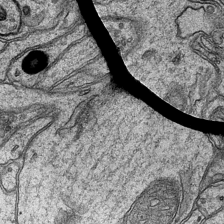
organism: Mouse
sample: CA1 Hippocampus